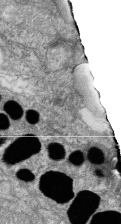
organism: Zebrafish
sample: Cilia; retinal pigment epithelium